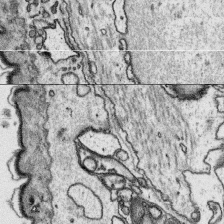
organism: Platynereis dumerilii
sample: Parapodia